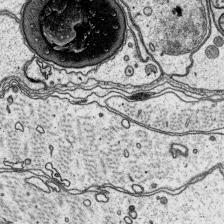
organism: Platynereis dumerilii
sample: Parapodia